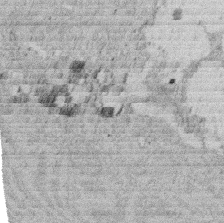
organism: Rat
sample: Salivary granule